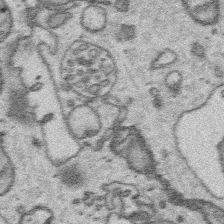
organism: Platynereis dumerilii